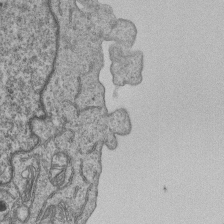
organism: Human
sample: MDA-MB-231 cells